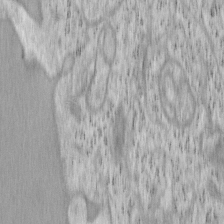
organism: Human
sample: HeLa cells